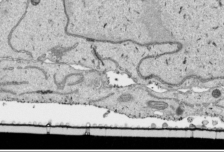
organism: Human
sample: Mitochondria in HCT116 cells